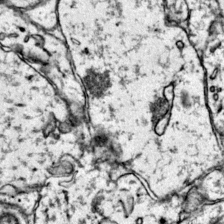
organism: Mouse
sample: Primary visual cortex